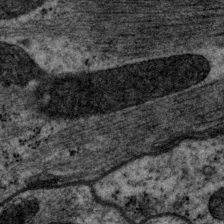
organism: P. pacificus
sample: Pharynx